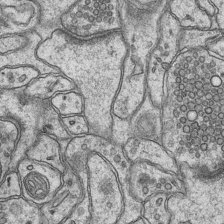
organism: Mouse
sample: CA1 Hippocampus